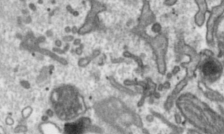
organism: Toxoplasma gondii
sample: Parasites in a vacuole inside a host cell